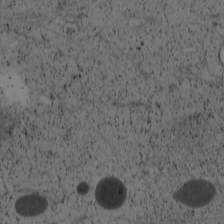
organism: African green monkey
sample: COS-7 cells